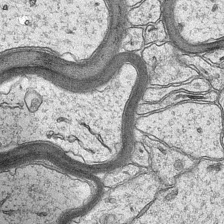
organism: Mouse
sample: CA1 Hippocampus